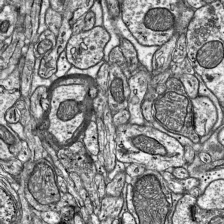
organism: Mouse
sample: Visual Cortex